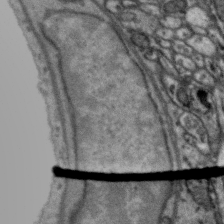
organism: Zebra finch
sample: Brain